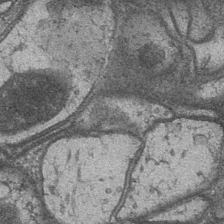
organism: Drosophila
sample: Optic medulla